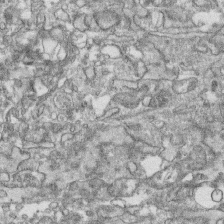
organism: Human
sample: CRL-1474